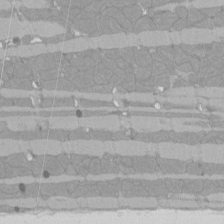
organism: Rat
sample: Left ventricle